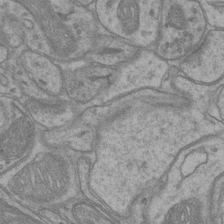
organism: Mouse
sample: CA1 Hippocampus